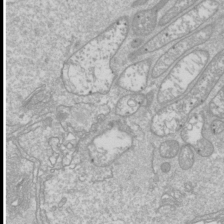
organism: Drosophila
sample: Cell division; meiosis; drosophila spermatocytes